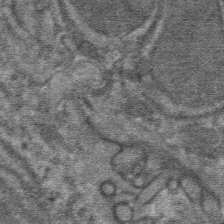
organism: Mouse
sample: Mouse hepatocytes